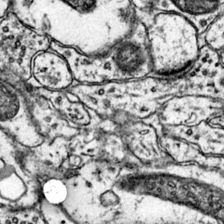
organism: Mouse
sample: Primary visual cortex